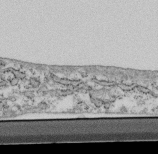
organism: Mouse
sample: Cilia; retinal pigment epithelium